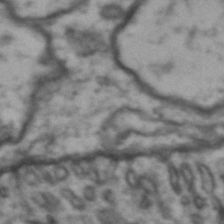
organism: Drosophila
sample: Brain